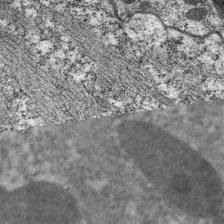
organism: C. elegans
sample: Pharynx